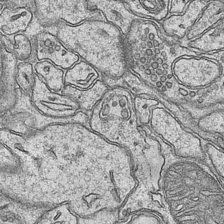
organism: Mouse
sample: CA1 Hippocampus